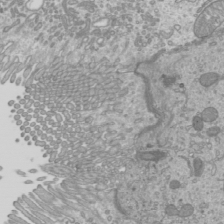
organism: Mouse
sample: Cilia; mouse epididymis